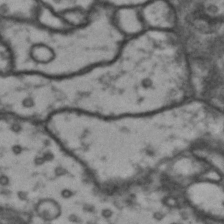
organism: Drosophila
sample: Brain